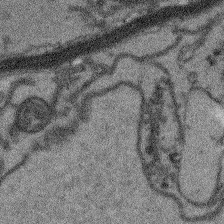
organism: Arabidopsis thaliana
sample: Root tip